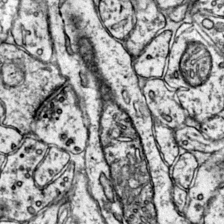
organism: Mouse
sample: Primary visual cortex